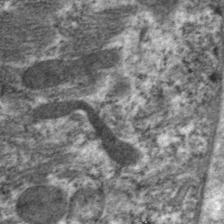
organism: C. elegans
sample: Pharynx